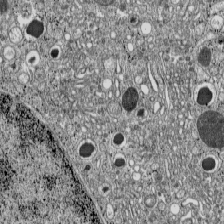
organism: C57BL Mouse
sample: Pancreatic islet